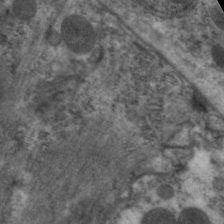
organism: C. elegans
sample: Pharynx